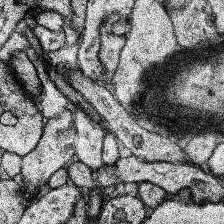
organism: Human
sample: Temporal Lobe